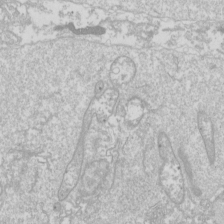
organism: Drosophila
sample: Cell division; meiosis; drosophila spermatocytes